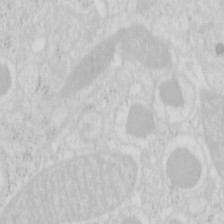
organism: Mouse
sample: Pancreas